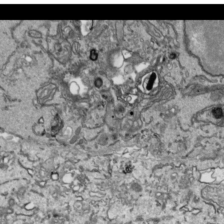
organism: Human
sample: Mitochondria in HCT116 cells